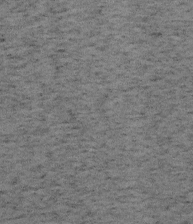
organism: Mouse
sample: OT-I killer T cells with ID8 ovarian cancer cells